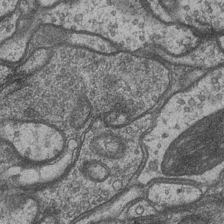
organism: Drosophila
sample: Optic medulla